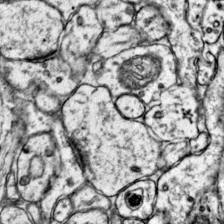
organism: Mouse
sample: Primary visual cortex